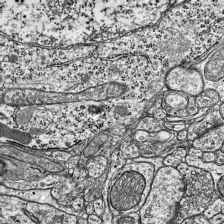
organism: Mouse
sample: Visual Cortex